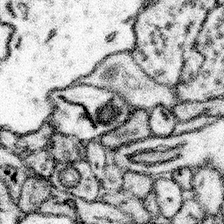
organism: Mouse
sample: Somatosensory cortex neuropil